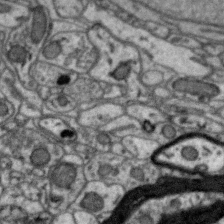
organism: Zebra finch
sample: Brain